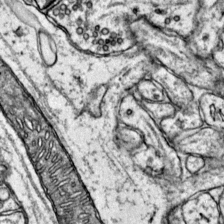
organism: Mouse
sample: Primary visual cortex